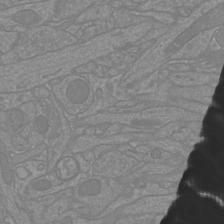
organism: Mouse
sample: Cortical neurons